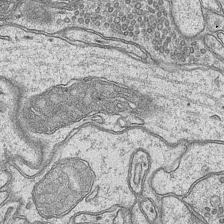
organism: Mouse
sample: CA1 Hippocampus